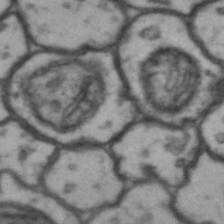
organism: Drosophila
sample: Brain